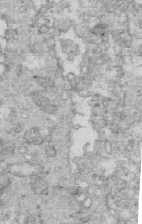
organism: Mouse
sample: Multiciliated cells